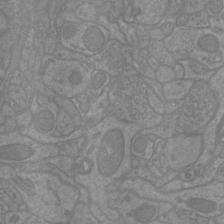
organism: Mouse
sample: Cortical neurons